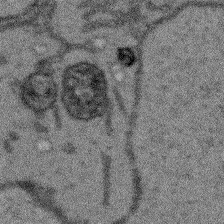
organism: Arabidopsis thaliana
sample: Root tip